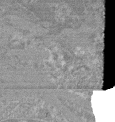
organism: Mouse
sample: Glomerulus